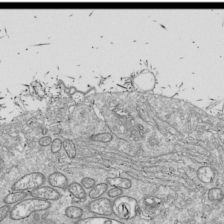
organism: Drosophila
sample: Cell division; meiosis; drosophila spermatocytes